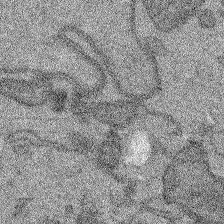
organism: Human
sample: HeLa cells